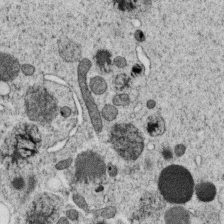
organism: C. elegans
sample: C. elegans oocyte; sperm cells